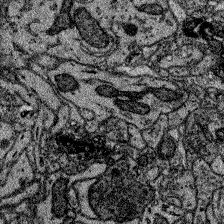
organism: Zebrafish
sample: Larval olfactory bulb